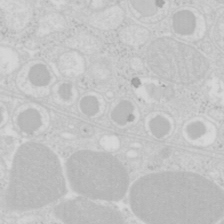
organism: Mouse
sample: Pancreas